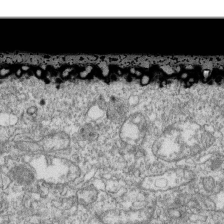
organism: Human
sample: HeLa cell HIV synapse